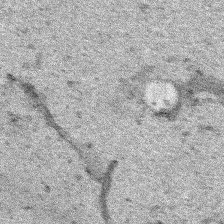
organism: Human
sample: Mitochondria in HCT116 cells